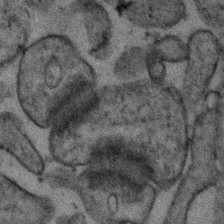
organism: Human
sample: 1205lu cells